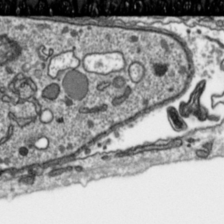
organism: Toxoplasma gondii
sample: Parasites in a vacuole inside a host cell